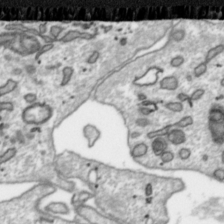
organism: Toxoplasma gondii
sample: Parasites in a vacuole inside a host cell